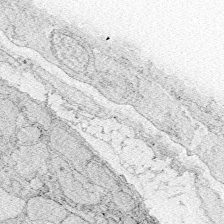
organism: Zebrafish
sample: Whole-Brain